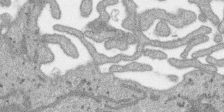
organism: Human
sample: Lung epithelial cells infected with SARS-CoV-2